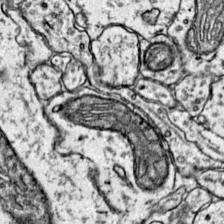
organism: Mouse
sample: Primary visual cortex